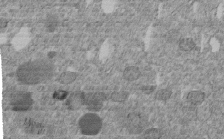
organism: C. elegans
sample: C. elegans embryo early stage